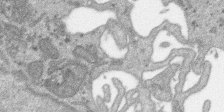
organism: Human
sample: Lung epithelial cells infected with SARS-CoV-2